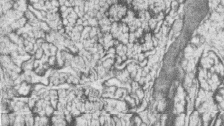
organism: Zebrafish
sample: synaptic ribbons in rod cells and cone cells